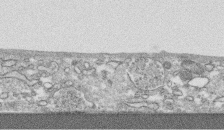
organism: Human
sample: CRL-1474